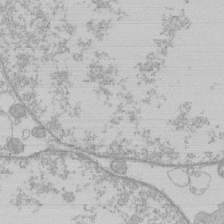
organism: Human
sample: Macrophage cells